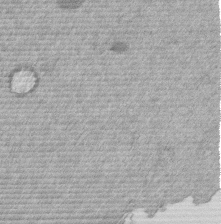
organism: Mouse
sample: Dividing mouse embryo 1 cell stage